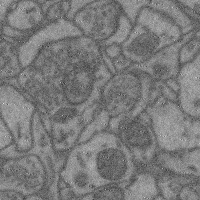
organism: Mouse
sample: Cerebral cortex